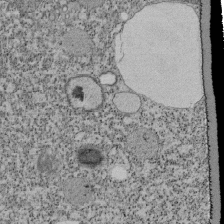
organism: Tetrahymena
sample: Cilia in tetrahymena